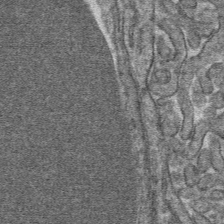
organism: Mouse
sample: Mouse hepatocytes